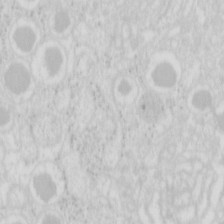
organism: Mouse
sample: Pancreas